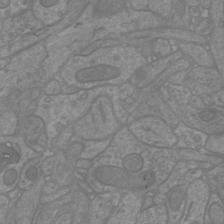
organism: Mouse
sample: Cortical neurons